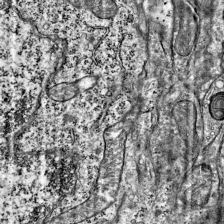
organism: Mouse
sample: Visual Cortex